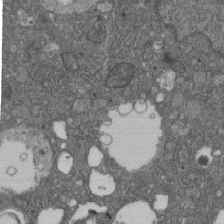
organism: Drosophila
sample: Nephrocyte